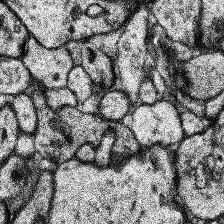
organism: Human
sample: Temporal Lobe